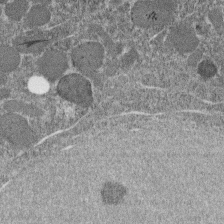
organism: C. elegans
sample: C. elegans embryo early stage